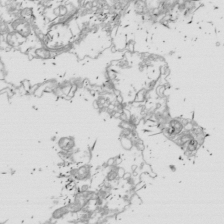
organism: Drosophila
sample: Cell division; meiosis; drosophila spermatocytes